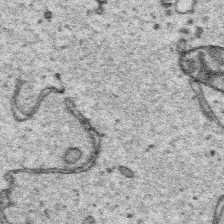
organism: Platynereis dumerilii